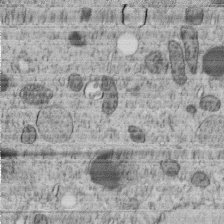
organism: C. elegans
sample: C. elegans embryo early stage